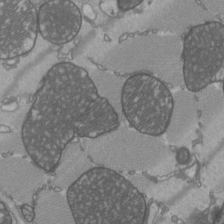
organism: C57BL Mouse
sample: Heart